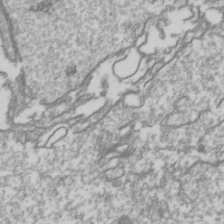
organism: Drosophila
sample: Cell division; meiosis; drosophila spermatocytes